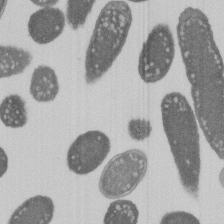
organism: E. coli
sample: Bacterial nucleoid